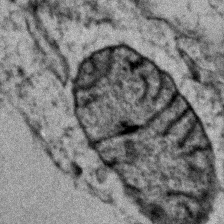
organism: Zebrafish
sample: Zebrafish embryo